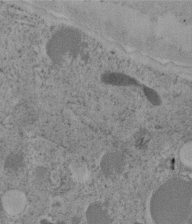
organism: C. elegans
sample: C. elegans embryo early stage